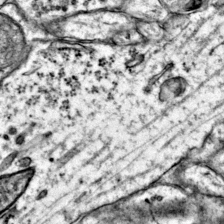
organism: Mouse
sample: Primary visual cortex